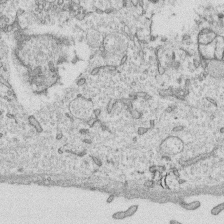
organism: Human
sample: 1205lu cells